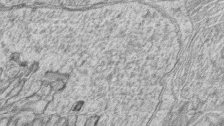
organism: Zebrafish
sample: synaptic ribbons in rod cells and cone cells